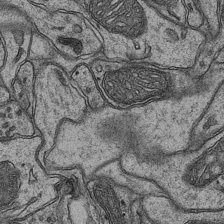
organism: Mouse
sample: CA1 Hippocampus